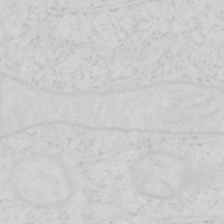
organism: Human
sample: SUM-159 cell